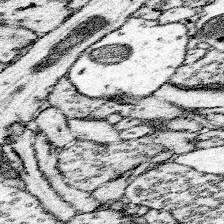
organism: Mouse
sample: Somatosensory cortex neuropil